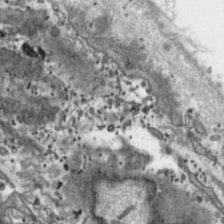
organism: Toxoplasma gondii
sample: Parasites in a vacuole inside a host cell